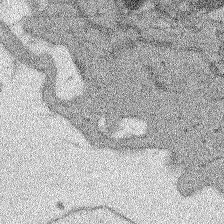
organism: Human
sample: HeLa cells